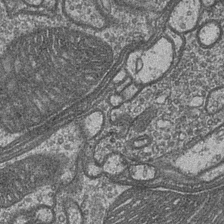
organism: Drosophila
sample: Optic medulla